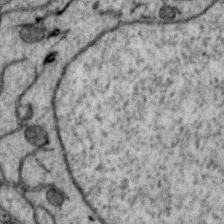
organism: Zebra finch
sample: Brain